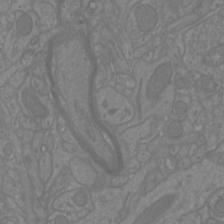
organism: Mouse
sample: Cortical neurons